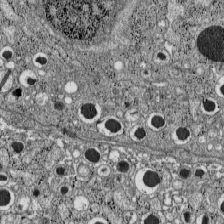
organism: C57BL Mouse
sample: Pancreatic islet